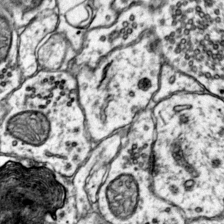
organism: Mouse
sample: Primary visual cortex